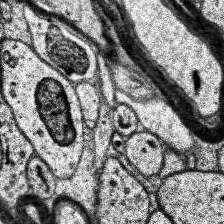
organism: Human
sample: Temporal Lobe